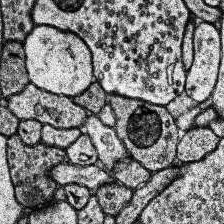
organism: Human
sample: Temporal Lobe